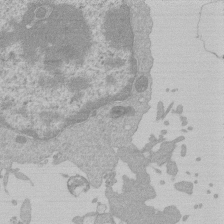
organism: Mouse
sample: Activated Pmel transgenic CD8+ T Cells